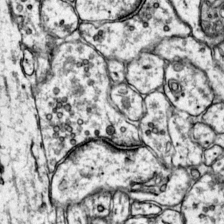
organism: Mouse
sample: Primary visual cortex